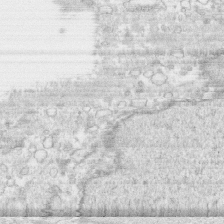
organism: Human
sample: CRL-1474